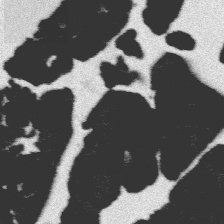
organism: Platynereis dumerilii